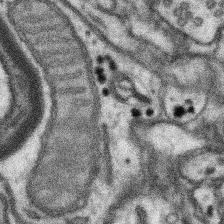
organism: Mouse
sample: Somatosensory cortex neuropil